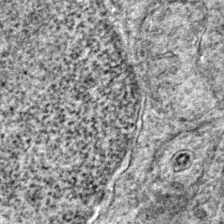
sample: Trachea